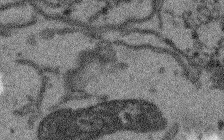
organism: Arabidopsis thaliana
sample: Root tip